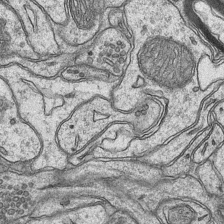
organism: Mouse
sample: CA1 Hippocampus